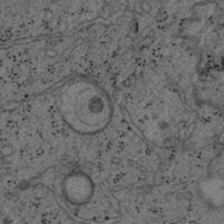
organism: Human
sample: HeLa cells